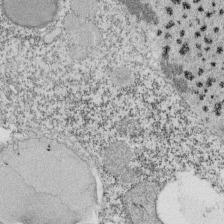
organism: Tetrahymena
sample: Cilia in tetrahymena